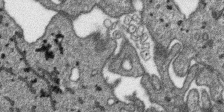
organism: Human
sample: Lung epithelial cells infected with SARS-CoV-2